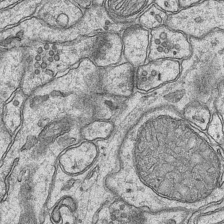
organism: Mouse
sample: CA1 Hippocampus